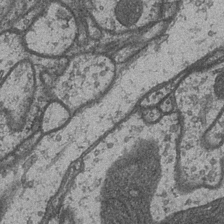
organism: Drosophila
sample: Optic medulla